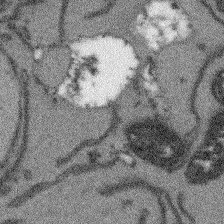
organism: Arabidopsis thaliana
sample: Root tip